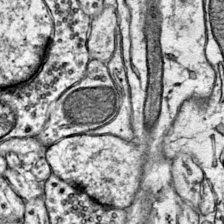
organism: Mouse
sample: Primary visual cortex